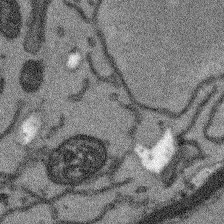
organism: Arabidopsis thaliana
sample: Root tip